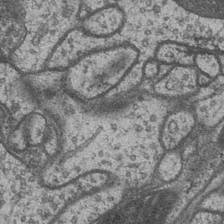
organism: Drosophila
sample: Optic medulla